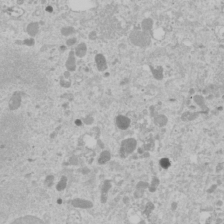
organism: Human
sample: Mitochondria in U2OS cells